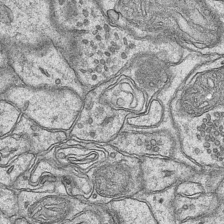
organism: Mouse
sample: CA1 Hippocampus